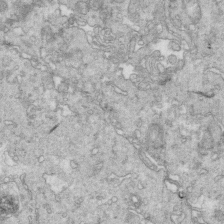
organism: Mouse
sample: Multiciliated cells